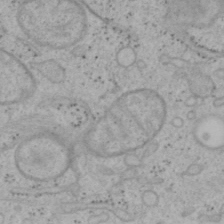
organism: Human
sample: HeLa cells